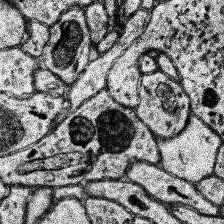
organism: Human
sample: Temporal Lobe